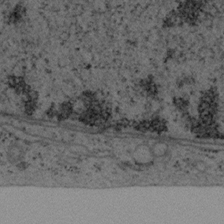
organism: Human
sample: HeLa cells